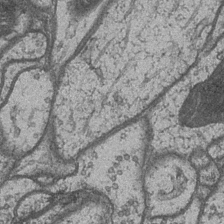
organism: Drosophila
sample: Optic medulla